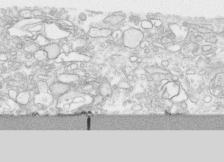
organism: Human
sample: CRL-1474